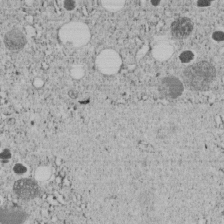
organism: C. elegans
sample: C. elegans embryo early stage